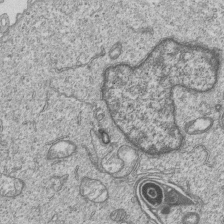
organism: Human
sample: MDA-MB-231 cells